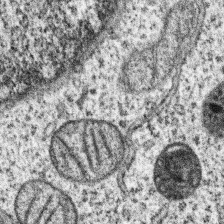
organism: Human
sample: HeLa cells